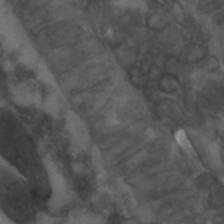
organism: C. elegans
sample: C. elegans embryo